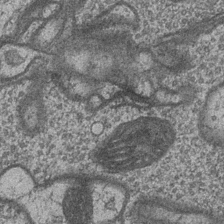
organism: Drosophila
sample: Optic medulla